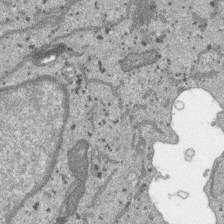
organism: Human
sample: Lung epithelial cells infected with SARS-CoV-2